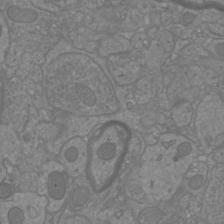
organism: Mouse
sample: Cortical neurons